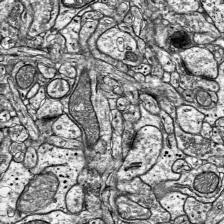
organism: Mouse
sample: Visual Cortex